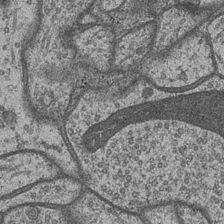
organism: Drosophila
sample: Optic medulla